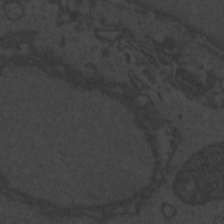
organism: Zebrafish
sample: Macrophage infected with Toxoplasma gondii